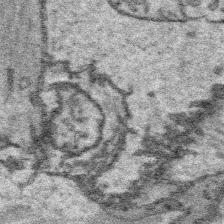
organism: Platynereis dumerilii